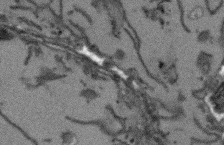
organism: Arabidopsis thaliana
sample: Root tip